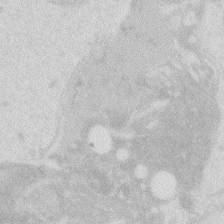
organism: Zebrafish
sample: Macrophage